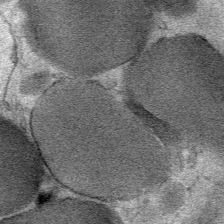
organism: Mouse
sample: Mouse Salivary gland